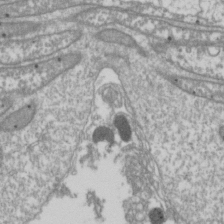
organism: Drosophila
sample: Cell division; meiosis; drosophila spermatocytes